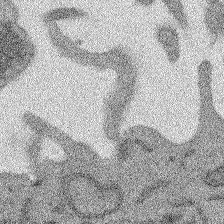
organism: Human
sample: HeLa cells